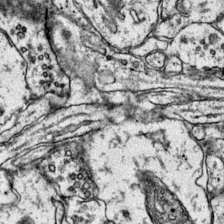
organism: Mouse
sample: Primary visual cortex